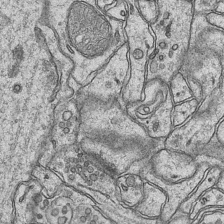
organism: Mouse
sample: CA1 Hippocampus